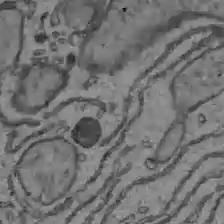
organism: C57BL Mouse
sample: Liver